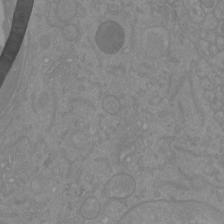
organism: Mouse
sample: Cortical neurons